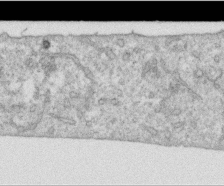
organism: Human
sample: Centriole in RPE cells